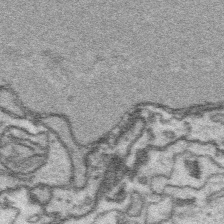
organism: Platynereis dumerilii